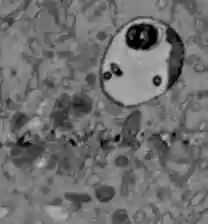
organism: C57BL Mouse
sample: Liver